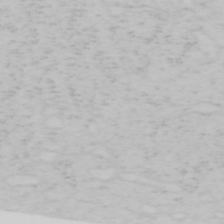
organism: Mouse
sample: OT-I killer T cells with ID8 ovarian cancer cells